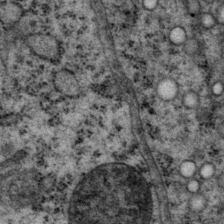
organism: P. pacificus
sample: Pharynx